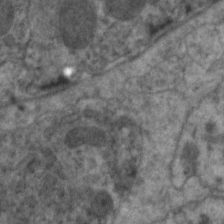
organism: C. elegans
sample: Pharynx